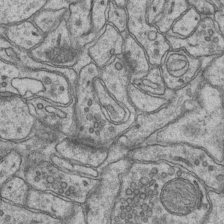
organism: Mouse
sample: CA1 Hippocampus